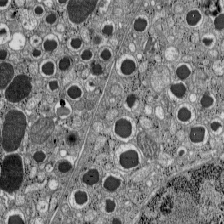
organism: C57BL Mouse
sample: Pancreatic islet